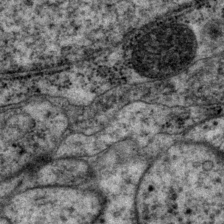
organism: P. pacificus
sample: Pharynx